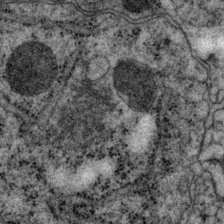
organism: P. pacificus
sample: Pharynx